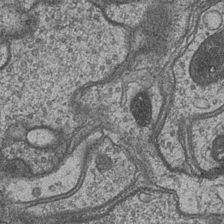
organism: Drosophila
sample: Optic medulla